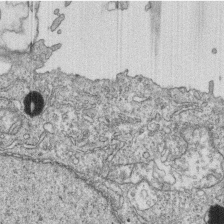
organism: Human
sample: HeLa cell HIV synapse